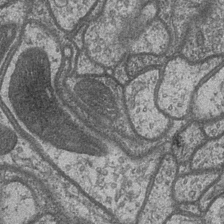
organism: Drosophila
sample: Optic medulla